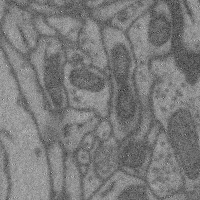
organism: Mouse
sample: Cerebral cortex